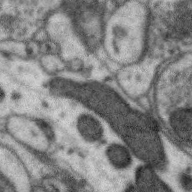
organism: Zebra finch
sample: Brain